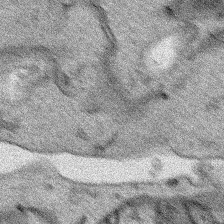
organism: Human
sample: Mitochondria in HCT116 cells